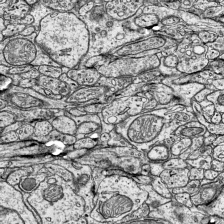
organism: Mouse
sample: Visual Cortex